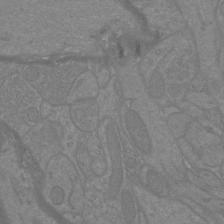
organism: Mouse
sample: Cortical neurons